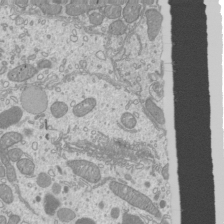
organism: Mouse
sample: Cilia; mouse epididymis